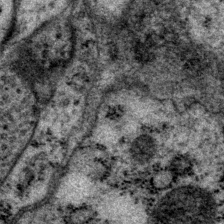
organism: P. pacificus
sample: Pharynx